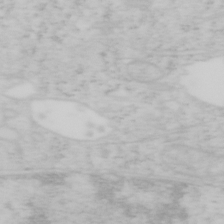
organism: Mouse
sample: OT-I killer T cells with ID8 ovarian cancer cells